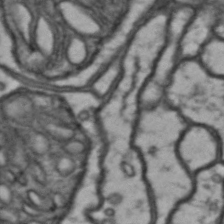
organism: Drosophila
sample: Brain